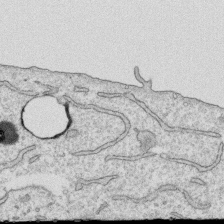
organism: Human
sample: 1205lu cells